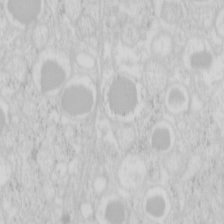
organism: Mouse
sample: Pancreas